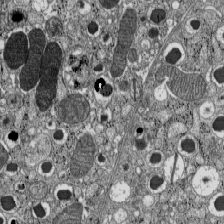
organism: C57BL Mouse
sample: Pancreatic islet